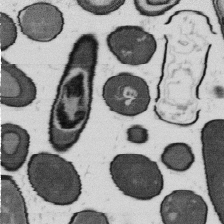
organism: B. subtilis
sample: Bacterial spore